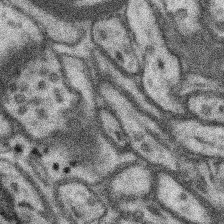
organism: Mouse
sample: Somatosensory cortex neuropil